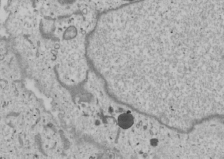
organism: Human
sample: Mitochondria in U2OS cells